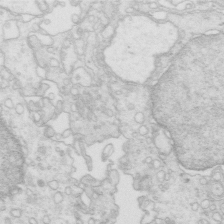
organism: Mouse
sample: Multiciliated cells